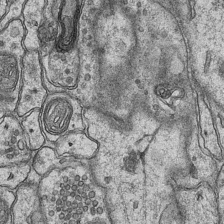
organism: Mouse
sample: CA1 Hippocampus